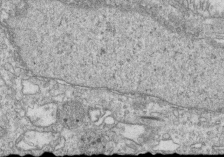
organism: Human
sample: HeLa cell HIV synapse